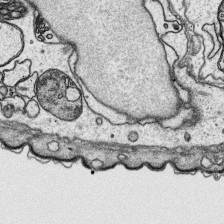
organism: Platynereis dumerilii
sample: Parapodia